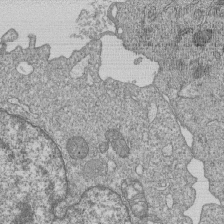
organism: Human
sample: MDA-MB-231 cells